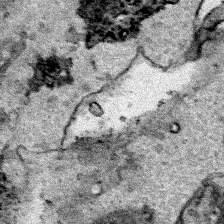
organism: Human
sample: Mitochondria in HCT116 cells